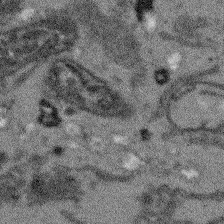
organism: Arabidopsis thaliana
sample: Root tip